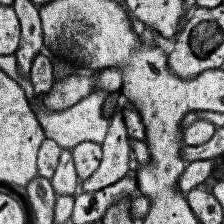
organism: Human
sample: Temporal Lobe